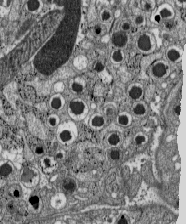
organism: C57BL Mouse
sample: Pancreatic islet